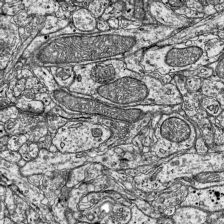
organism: Mouse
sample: Visual Cortex